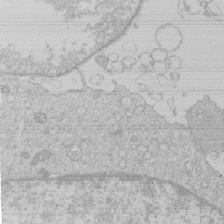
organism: Human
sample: Macrophage cells